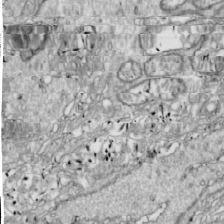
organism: Drosophila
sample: Cell division; meiosis; drosophila spermatocytes